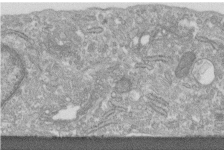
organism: Human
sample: Centriole in fibroblast cells